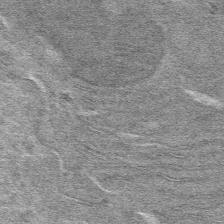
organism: Mouse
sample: Mouse hepatocytes